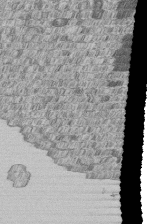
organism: Human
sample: MDA-MB-231 cells